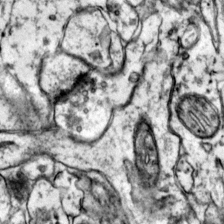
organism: Mouse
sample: Primary visual cortex